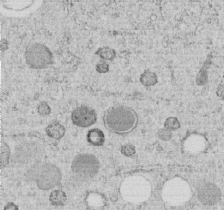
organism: C. elegans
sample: C. elegans embryo early stage